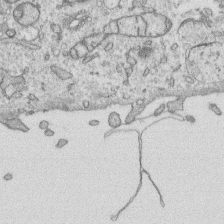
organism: Human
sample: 1205lu cells